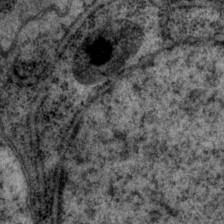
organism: P. pacificus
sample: Pharynx